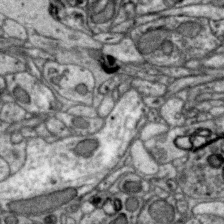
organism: Zebra finch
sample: Brain